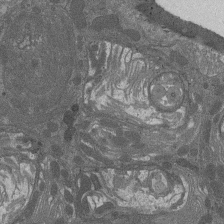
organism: Drosophila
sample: Antenna